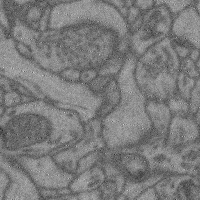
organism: Mouse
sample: Cerebral cortex